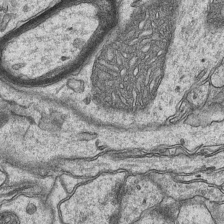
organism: Mouse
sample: CA1 Hippocampus